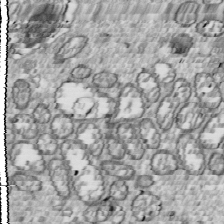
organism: Drosophila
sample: Cell division; meiosis; drosophila spermatocytes